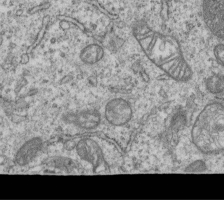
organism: Human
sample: MDA-MB-231 cells